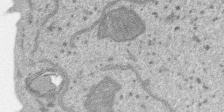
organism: Human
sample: Lung epithelial cells infected with SARS-CoV-2